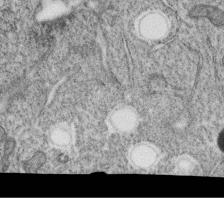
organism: C. elegans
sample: C. elegans oocyte; sperm cells